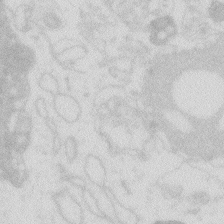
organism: Zebrafish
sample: Macrophage